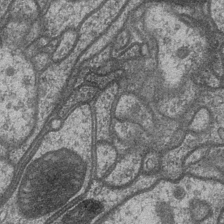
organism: Drosophila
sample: Optic medulla